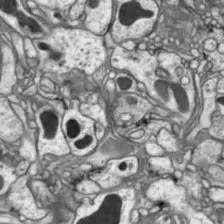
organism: Drosophila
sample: Optic lobe